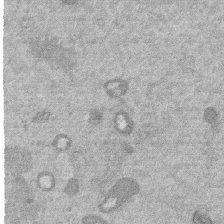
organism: Mouse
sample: Dividing mouse embryo 1 cell stage